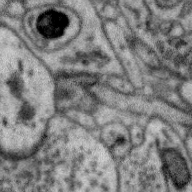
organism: Zebra finch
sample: Brain